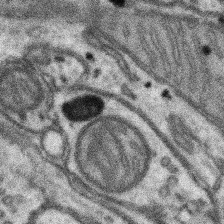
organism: Mouse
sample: Somatosensory cortex neuropil